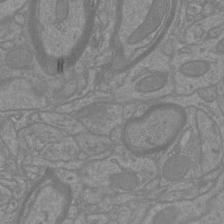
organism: Mouse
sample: Cortical neurons